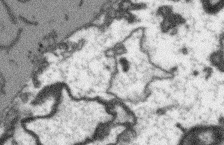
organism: Arabidopsis thaliana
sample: Root tip